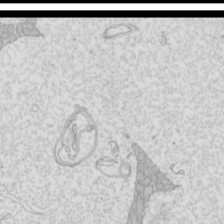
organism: Mouse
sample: Cilia; mouse epididymis